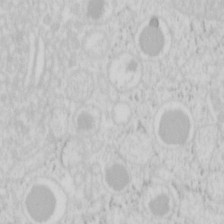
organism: Mouse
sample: Pancreas